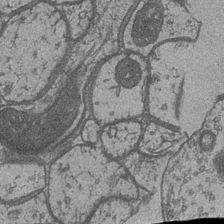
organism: Drosophila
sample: Optic medulla